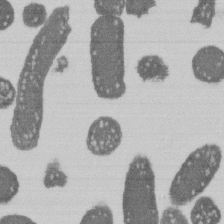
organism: E. coli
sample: Bacterial nucleoid